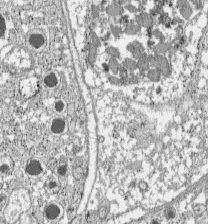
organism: C57BL Mouse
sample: Pancreatic islet